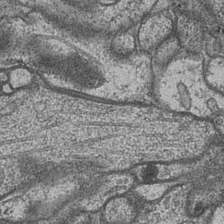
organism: Drosophila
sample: Optic medulla